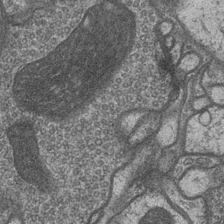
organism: Drosophila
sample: Optic medulla